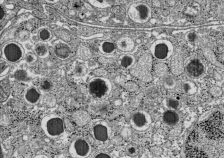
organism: C57BL Mouse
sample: Pancreatic islet